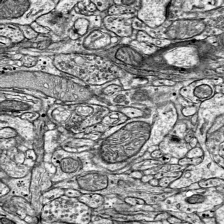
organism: Mouse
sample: Visual Cortex